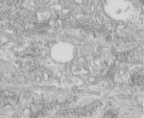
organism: Human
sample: Centriole in fibroblast cells